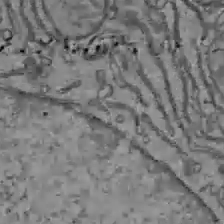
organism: C57BL Mouse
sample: Liver